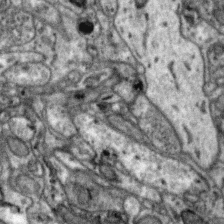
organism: Zebra finch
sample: Brain